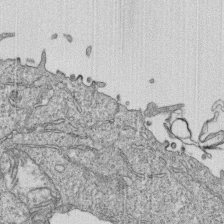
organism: Human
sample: HeLa cell HIV synapse